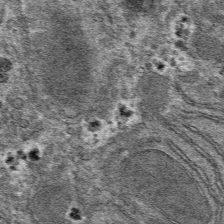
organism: Mouse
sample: Mouse hepatocytes